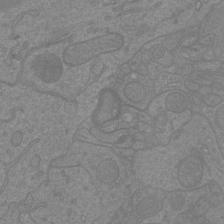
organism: Mouse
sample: Cortical neurons